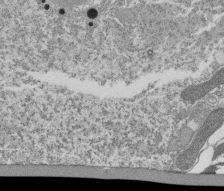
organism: Tetrahymena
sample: Cilia in tetrahymena